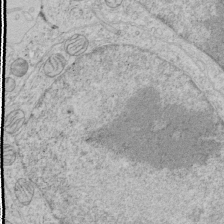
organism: Human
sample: Mitochondria in HCT116 cells